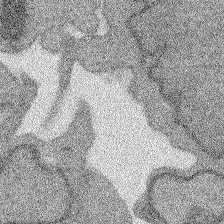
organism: Human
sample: HeLa cells